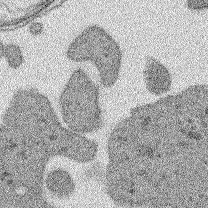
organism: Human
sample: HeLa cells